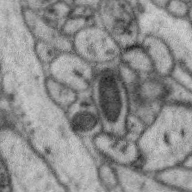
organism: Zebra finch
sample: Brain